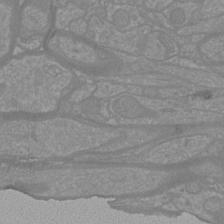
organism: Mouse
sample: Cortical neurons